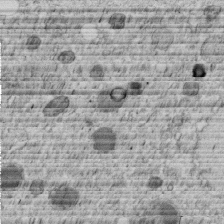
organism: C. elegans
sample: C. elegans embryo early stage